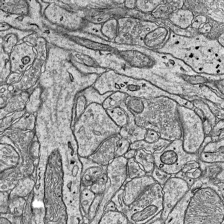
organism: Mouse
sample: Visual Cortex